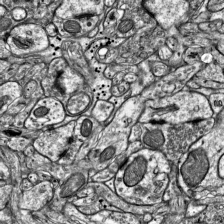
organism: Mouse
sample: Visual Cortex